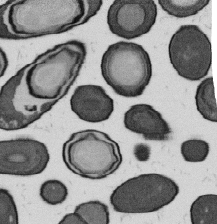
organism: B. subtilis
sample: Bacterial spore